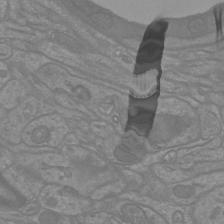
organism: Mouse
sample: Cortical neurons